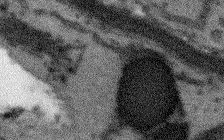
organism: Arabidopsis thaliana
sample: Root tip